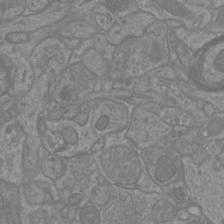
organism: Mouse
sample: Cortical neurons